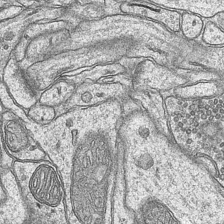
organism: Mouse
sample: CA1 Hippocampus